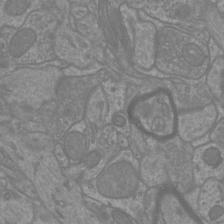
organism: Mouse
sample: Cortical neurons